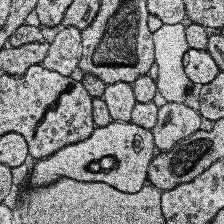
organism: Human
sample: Temporal Lobe